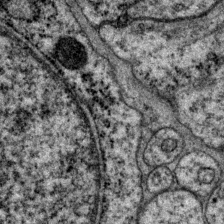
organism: P. pacificus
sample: Pharynx